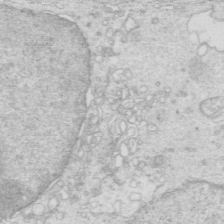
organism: Mouse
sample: Multiciliated cells